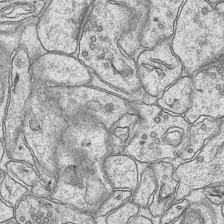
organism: Mouse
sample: CA1 Hippocampus